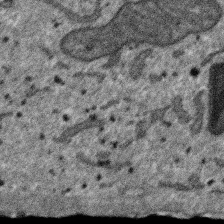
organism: Human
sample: Lung epithelial cells infected with SARS-CoV-2